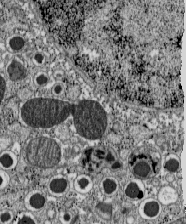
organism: C57BL Mouse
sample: Pancreatic islet